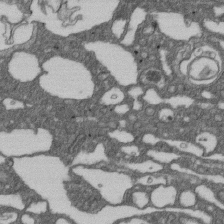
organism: Drosophila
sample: Nephrocyte